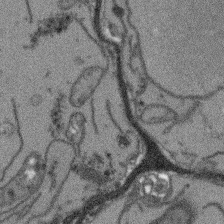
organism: Arabidopsis thaliana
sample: Root tip